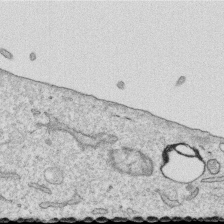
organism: Human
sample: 1205lu cells